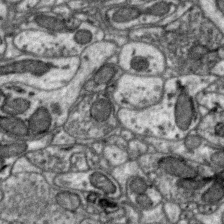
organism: Zebra finch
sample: Brain